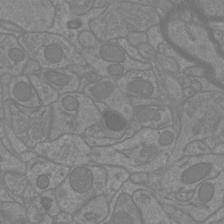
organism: Mouse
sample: Cortical neurons